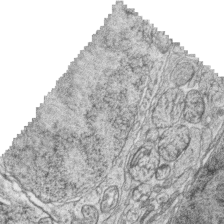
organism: Zebrafish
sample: synaptic ribbons in rod cells and cone cells